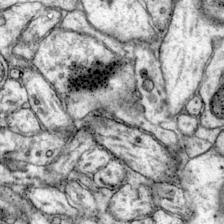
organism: Mouse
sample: Primary visual cortex